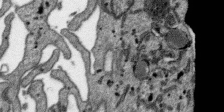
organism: Human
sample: Lung epithelial cells, uninfected (mock) control